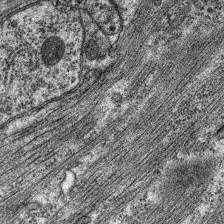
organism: C. elegans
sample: Pharynx